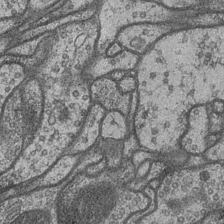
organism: Drosophila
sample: Optic medulla